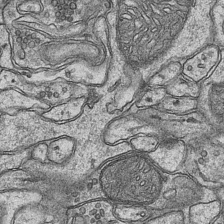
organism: Mouse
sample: CA1 Hippocampus